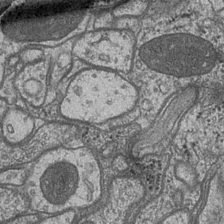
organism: Drosophila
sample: Optic medulla